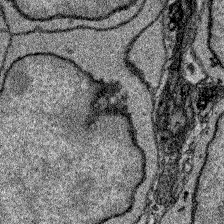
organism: Zebrafish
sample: Larval olfactory bulb